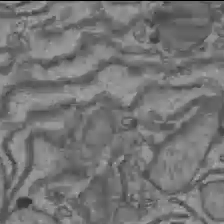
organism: C57BL Mouse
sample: Liver